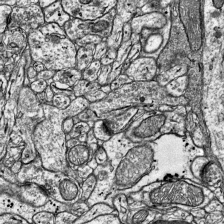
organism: Mouse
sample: Visual Cortex